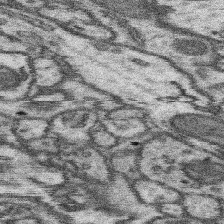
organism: Mouse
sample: Somatosensory cortex neuropil